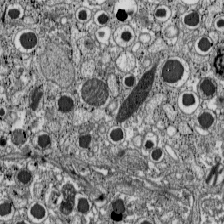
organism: C57BL Mouse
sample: Pancreatic islet